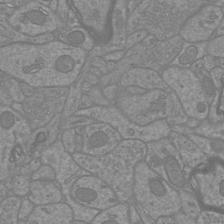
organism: Mouse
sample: Cortical neurons